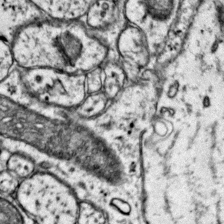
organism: Mouse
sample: Primary visual cortex